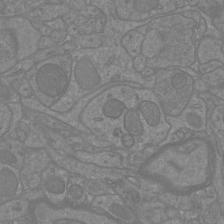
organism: Mouse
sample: Cortical neurons